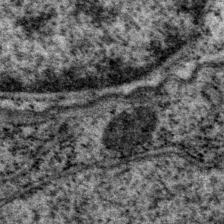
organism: P. pacificus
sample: Pharynx